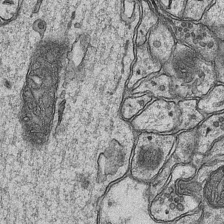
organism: Mouse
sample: CA1 Hippocampus